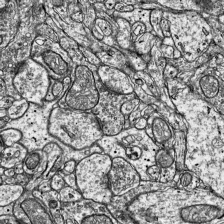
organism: Mouse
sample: Visual Cortex